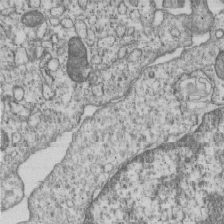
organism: Human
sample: MDA-MB-231 cells